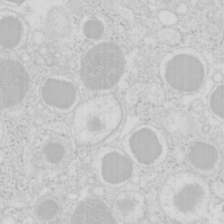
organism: Mouse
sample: Pancreas